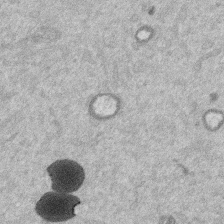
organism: Mouse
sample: Dividing mouse embryo 1 cell stage